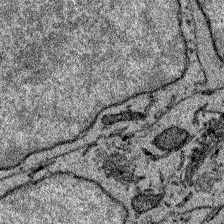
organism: Zebrafish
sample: Larval olfactory bulb